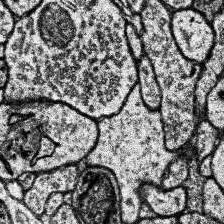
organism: Human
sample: Temporal Lobe